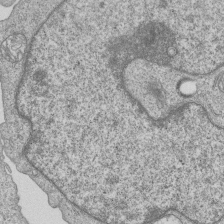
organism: Human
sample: MDA-MB-231 cells